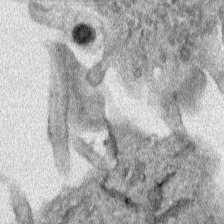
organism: Human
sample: Mitochondria in HCT116 cells